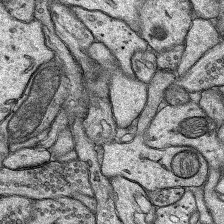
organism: Rat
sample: Hippocampus